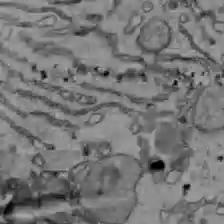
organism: C57BL Mouse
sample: Liver